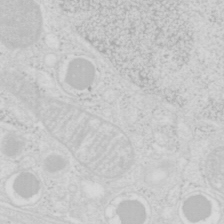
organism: Mouse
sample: Pancreas